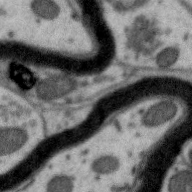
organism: Zebra finch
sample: Brain